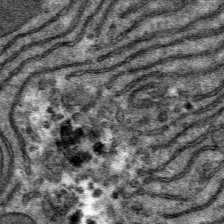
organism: Mouse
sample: Mouse hepatocytes